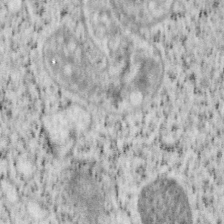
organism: Mouse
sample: OT-I killer T cells with ID8 ovarian cancer cells